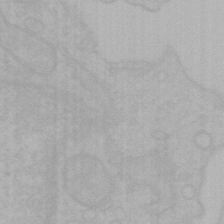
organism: Mouse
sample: Choroid plexus